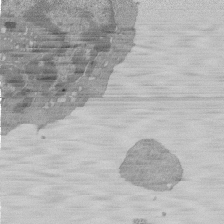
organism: Mouse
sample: Activated Pmel transgenic CD8+ T Cells